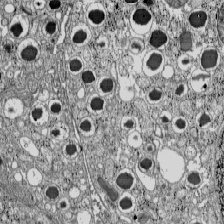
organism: C57BL Mouse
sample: Pancreatic islet